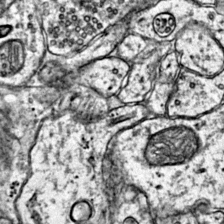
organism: Mouse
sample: Primary visual cortex